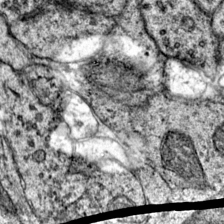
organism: Mouse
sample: Primary visual cortex